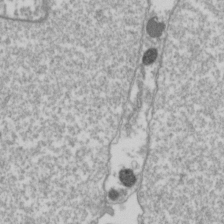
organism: Drosophila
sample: Cell division; meiosis; drosophila spermatocytes